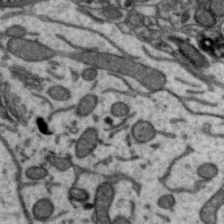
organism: Zebra finch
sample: Brain